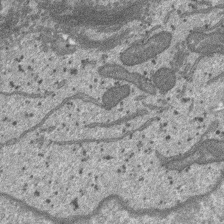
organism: Human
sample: Lung epithelial cells infected with SARS-CoV-2